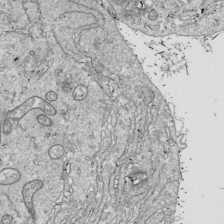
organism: Drosophila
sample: Cell division; meiosis; drosophila spermatocytes